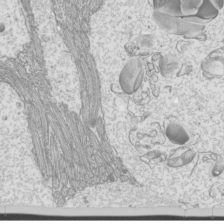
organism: Mouse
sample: Cilia; mouse epididymis